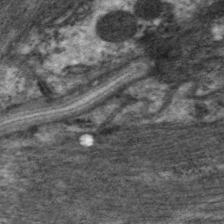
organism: C. elegans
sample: Pharynx